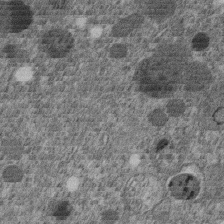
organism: C. elegans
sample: C. elegans embryo early stage